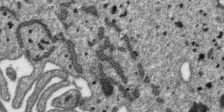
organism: Human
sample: Lung epithelial cells infected with SARS-CoV-2